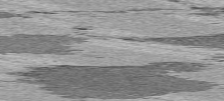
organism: C57BL Mouse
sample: Heart